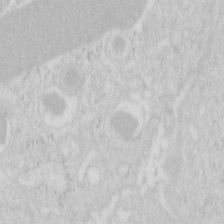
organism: Mouse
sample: Pancreas